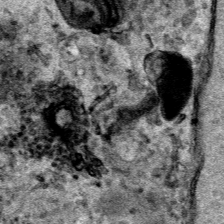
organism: Human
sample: Mitochondria in HCT116 cells